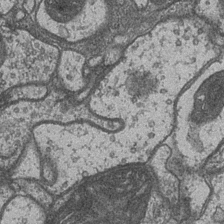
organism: Drosophila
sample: Optic medulla